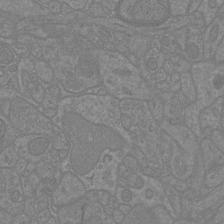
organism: Mouse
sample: Cortical neurons